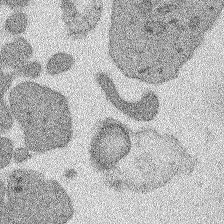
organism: Human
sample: HeLa cells